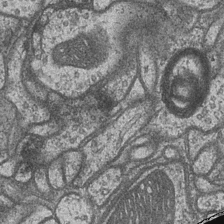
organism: Drosophila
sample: Optic medulla